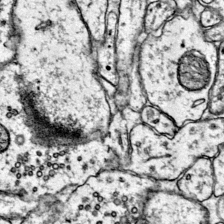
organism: Mouse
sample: Primary visual cortex